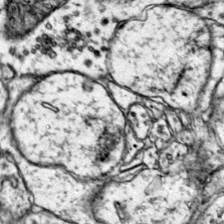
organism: Mouse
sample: Primary visual cortex